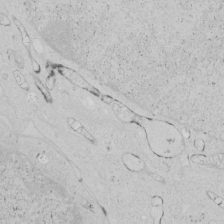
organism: Human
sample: Mitochondria in HCT116 cells